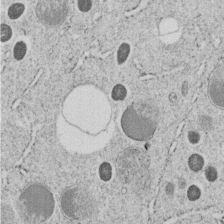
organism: C. elegans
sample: C. elegans embryo early stage